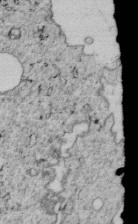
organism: C. elegans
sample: C. elegans embryo early stage